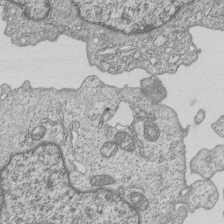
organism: Human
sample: MDA-MB-231 cells